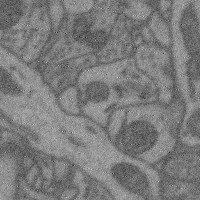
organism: Mouse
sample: Cerebral cortex